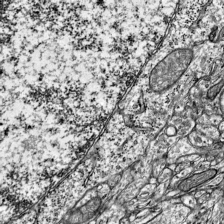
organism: Mouse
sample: Visual Cortex